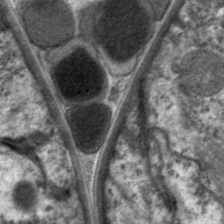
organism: C. elegans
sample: Pharynx